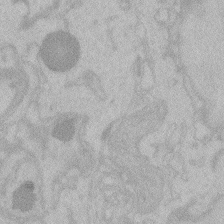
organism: Zebrafish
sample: Macrophage infected with Toxoplasma gondii